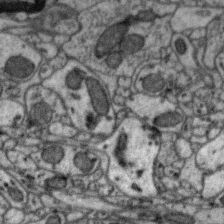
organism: Zebra finch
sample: Brain